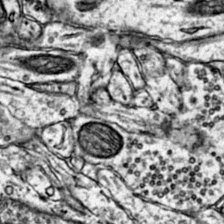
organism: Mouse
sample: Primary visual cortex